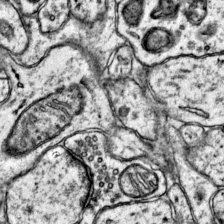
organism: Mouse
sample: Primary visual cortex